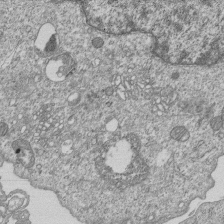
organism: Human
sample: MDA-MB-231 cells